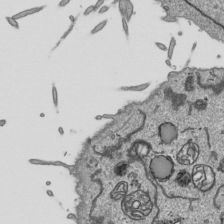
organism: Human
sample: Mitochondria in HCT116 cells